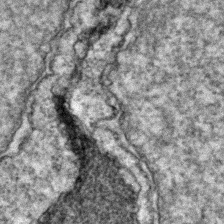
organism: Zebrafish